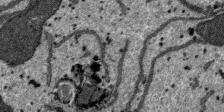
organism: Human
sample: Lung epithelial cells, uninfected (mock) control